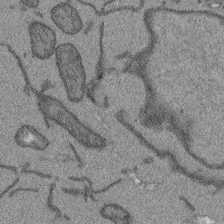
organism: Arabidopsis thaliana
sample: Root tip